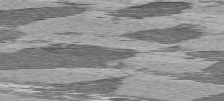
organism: C57BL Mouse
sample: Heart